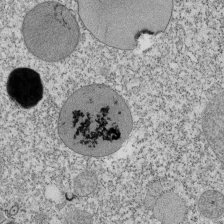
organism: Tetrahymena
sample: Cilia in tetrahymena